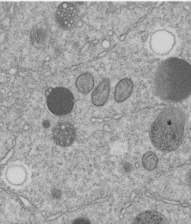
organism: C. elegans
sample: C. elegans embryo early stage